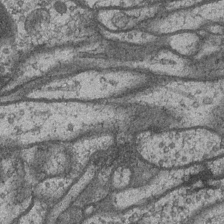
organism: Drosophila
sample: Optic medulla